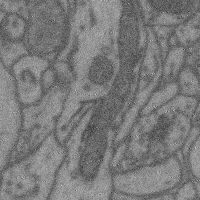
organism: Mouse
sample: Cerebral cortex